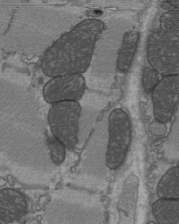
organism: C57BL Mouse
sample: Heart